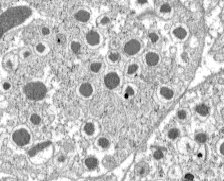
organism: C57BL Mouse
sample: Pancreatic islet